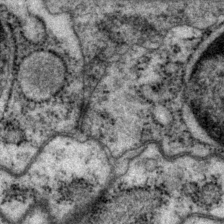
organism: P. pacificus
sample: Pharynx